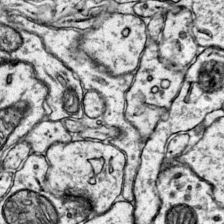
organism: Mouse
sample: Primary visual cortex